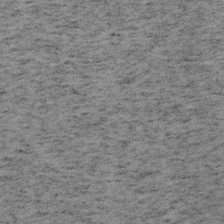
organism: Mouse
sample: OT-I killer T cells with ID8 ovarian cancer cells